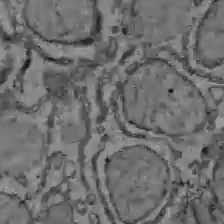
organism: C57BL Mouse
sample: Liver